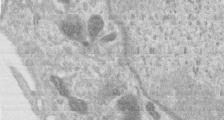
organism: Human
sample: Centriole in RPE cells